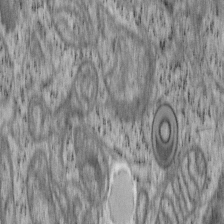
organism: Human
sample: HeLa cells